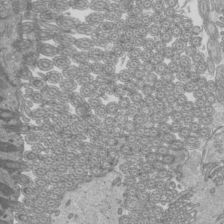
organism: Mouse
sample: Cilia; mouse epididymis